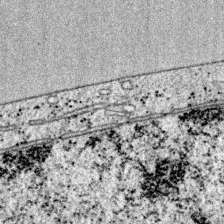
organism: Human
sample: HeLa cells